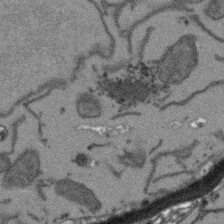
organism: Arabidopsis thaliana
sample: Root tip